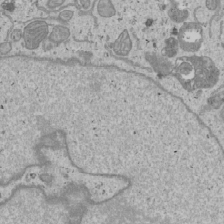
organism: Human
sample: Mitochondria in U2OS cells